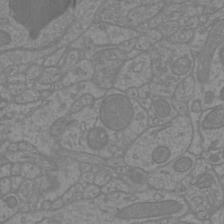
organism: Mouse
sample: Cortical neurons